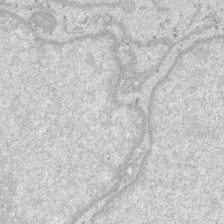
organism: Human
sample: Lung epithelial cells infected with SARS-CoV-2